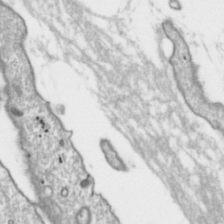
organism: Toxoplasma gondii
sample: Parasites in a vacuole inside a host cell